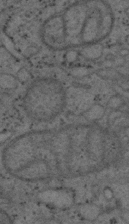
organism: Human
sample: HeLa cells